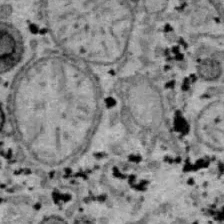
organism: Mouse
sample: Liver from an obese (ob/ob) mouse